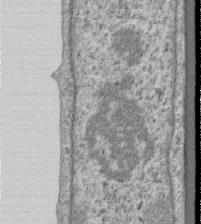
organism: Human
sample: Centriole in RPE cells